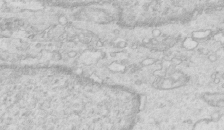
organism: Mouse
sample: Multiciliated cells